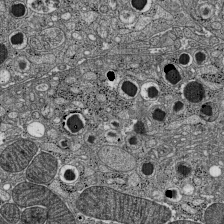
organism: C57BL Mouse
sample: Pancreatic islet